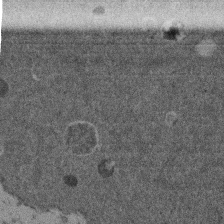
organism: Mouse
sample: Dividing mouse embryo 1 cell stage